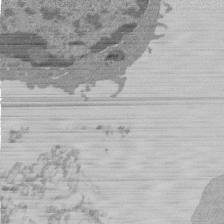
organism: Mouse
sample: Activated Pmel transgenic CD8+ T Cells